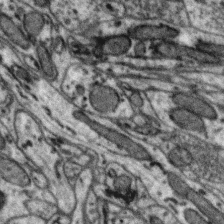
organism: Zebra finch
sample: Brain